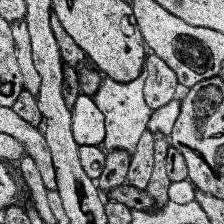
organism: Human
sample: Temporal Lobe